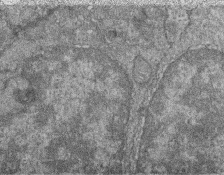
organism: Zebrafish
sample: Cilia; retinal pigment epithelium